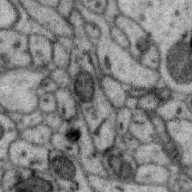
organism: Zebra finch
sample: Brain